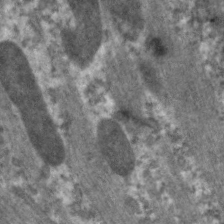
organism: C. elegans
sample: Pharynx